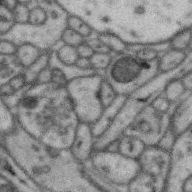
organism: Zebra finch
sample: Brain